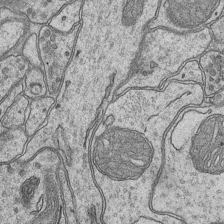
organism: Mouse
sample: CA1 Hippocampus